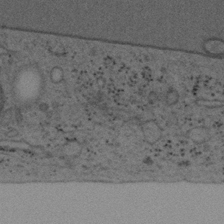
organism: Human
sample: HeLa cells